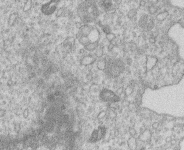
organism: Human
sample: Macrophage cells